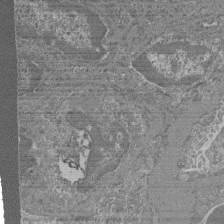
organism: Mouse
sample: Glomerulus